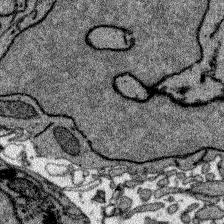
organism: Zebrafish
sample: Larval olfactory bulb